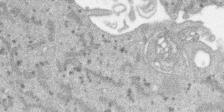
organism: Human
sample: Lung epithelial cells infected with SARS-CoV-2